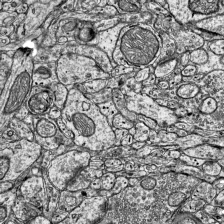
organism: Mouse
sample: Visual Cortex